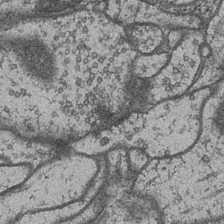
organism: Drosophila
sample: Optic medulla